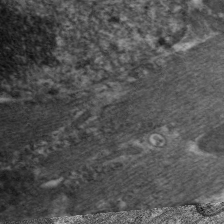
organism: C. elegans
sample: Pharynx